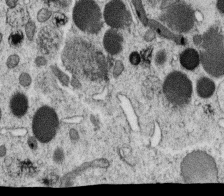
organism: C. elegans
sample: C. elegans oocyte; sperm cells